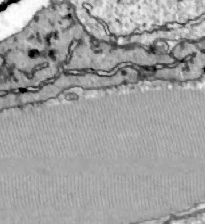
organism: Zebrafish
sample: Actinotrichia fibers